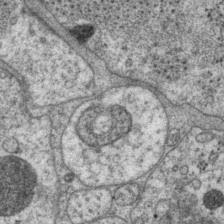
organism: P. pacificus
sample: Pharynx